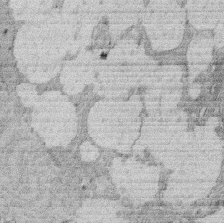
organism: Rat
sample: Salivary granule